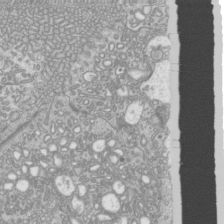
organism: Mouse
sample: Cilia; mouse epididymis